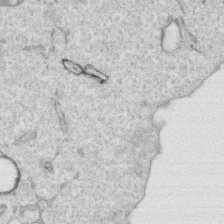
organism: Human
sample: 1205lu cells